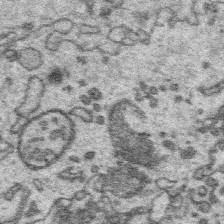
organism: Platynereis dumerilii